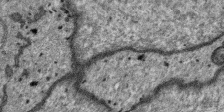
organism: Human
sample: Lung epithelial cells, uninfected (mock) control